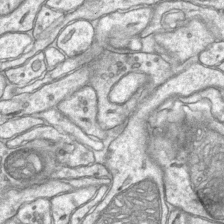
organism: Mouse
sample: CA1 Hippocampus